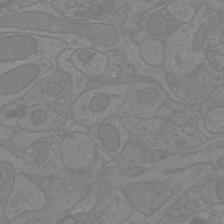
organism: Mouse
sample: Cortical neurons